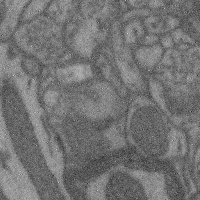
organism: Mouse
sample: Cerebral cortex